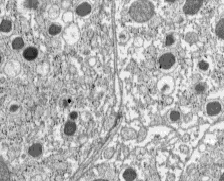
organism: C57BL Mouse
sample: Pancreatic islet